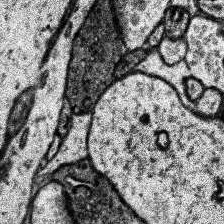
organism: Human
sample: Temporal Lobe